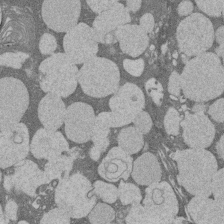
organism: Rat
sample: Salivary granule